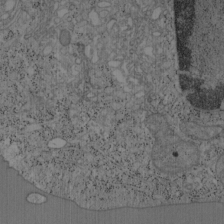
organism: Mouse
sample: OT-I killer T cells with ID8 ovarian cancer cells